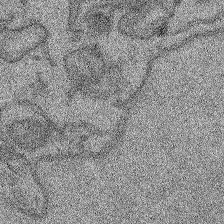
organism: Human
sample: HeLa cells